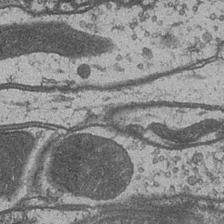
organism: Drosophila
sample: Optic medulla